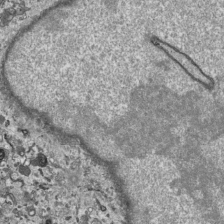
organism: Human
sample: Mitochondria in HCT116 cells